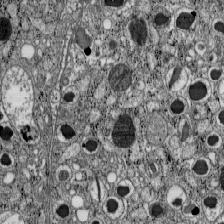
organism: C57BL Mouse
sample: Pancreatic islet